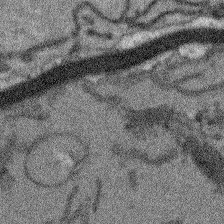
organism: Arabidopsis thaliana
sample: Root tip